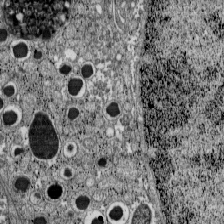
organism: C57BL Mouse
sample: Pancreatic islet